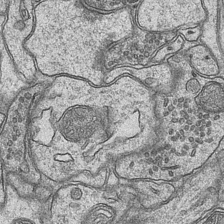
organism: Mouse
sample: CA1 Hippocampus